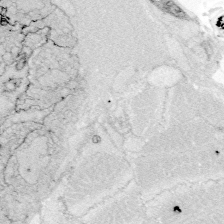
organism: Zebrafish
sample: Whole-Brain